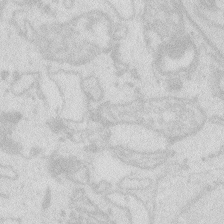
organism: Zebrafish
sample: Macrophage